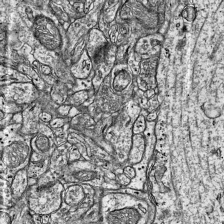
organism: Mouse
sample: Visual Cortex